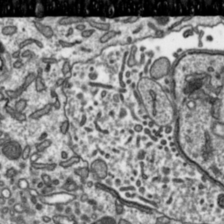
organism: Toxoplasma gondii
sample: Parasites in a vacuole inside a host cell